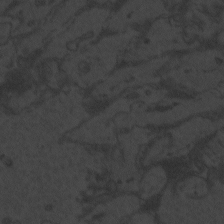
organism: Zebrafish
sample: Macrophage infected with Toxoplasma gondii